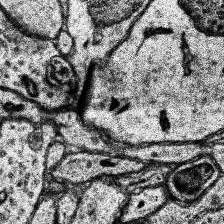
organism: Human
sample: Temporal Lobe